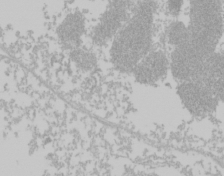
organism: Mouse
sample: Cancer cell death in ED-1 cells